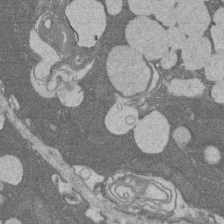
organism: Rat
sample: Salivary granule